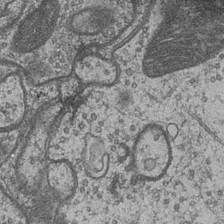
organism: Drosophila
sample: Optic medulla